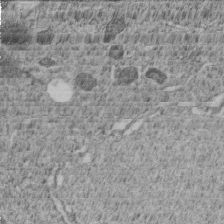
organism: C. elegans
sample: C. elegans embryo early stage